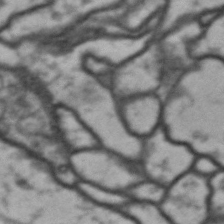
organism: Drosophila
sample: Brain